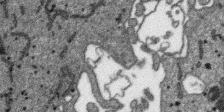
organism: Human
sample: Lung epithelial cells infected with SARS-CoV-2